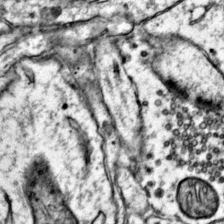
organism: Mouse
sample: Primary visual cortex